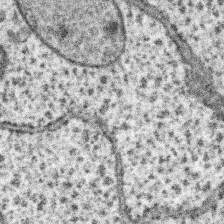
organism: Human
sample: HeLa cells